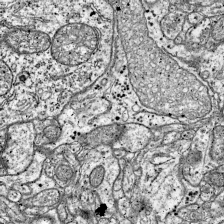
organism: Mouse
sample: Visual Cortex